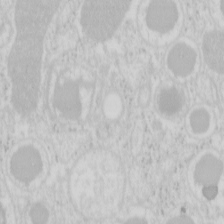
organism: Mouse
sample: Pancreas